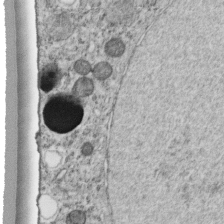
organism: C. elegans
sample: C. elegans embryo early stage